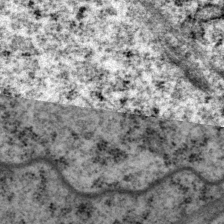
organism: P. pacificus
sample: Pharynx